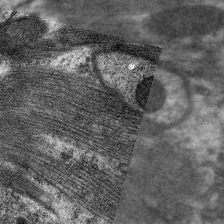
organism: C. elegans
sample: Pharynx